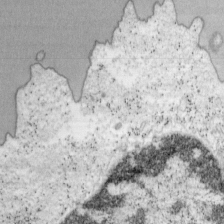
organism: Mouse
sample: OT-I killer T cells with ID8 ovarian cancer cells